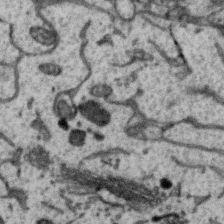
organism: Zebra finch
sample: Brain